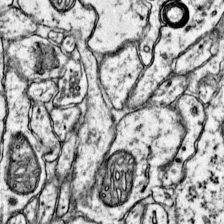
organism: Mouse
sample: Primary visual cortex